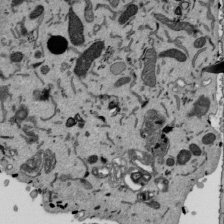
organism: Mouse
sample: ED-1 cell nuclei; centrioles